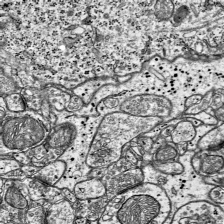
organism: Mouse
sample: Visual Cortex